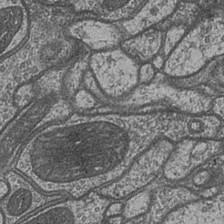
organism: Drosophila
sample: Optic medulla